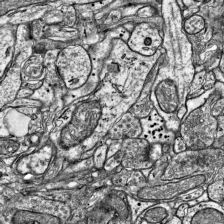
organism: Mouse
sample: Visual Cortex